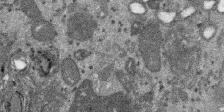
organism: Human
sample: Lung epithelial cells infected with SARS-CoV-2